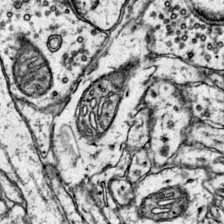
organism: Mouse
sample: Primary visual cortex